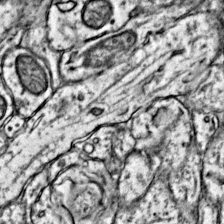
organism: Mouse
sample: Primary visual cortex